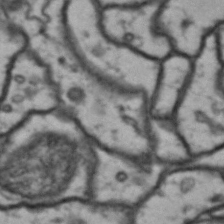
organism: Drosophila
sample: Brain